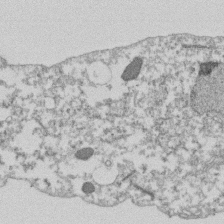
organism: Dictyostelium discoideum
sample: Dictyostelium multivesicular bodies